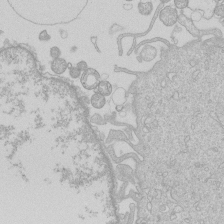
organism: Human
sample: Macrophage cells